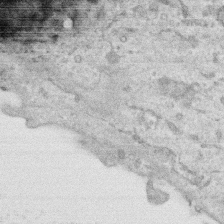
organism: Human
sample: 1205lu cells